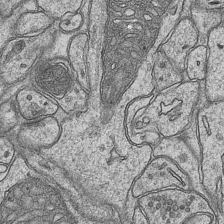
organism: Mouse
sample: CA1 Hippocampus